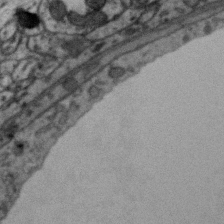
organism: Zebra finch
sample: Brain